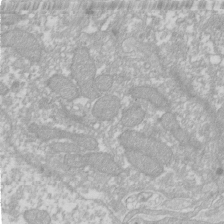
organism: Xenopus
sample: Cilia; centrioles in frog embryo cells